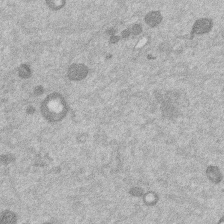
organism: Mouse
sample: Dividing mouse embryo 1 cell stage